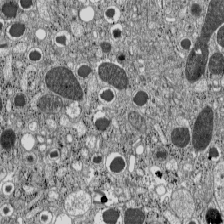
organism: C57BL Mouse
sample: Pancreatic islet